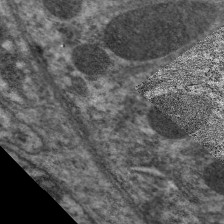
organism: C. elegans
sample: Pharynx